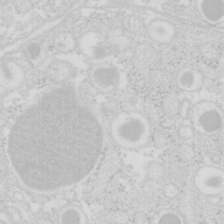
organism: Mouse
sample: Pancreas